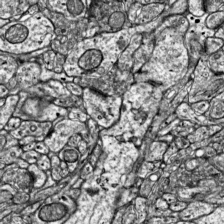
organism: Mouse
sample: Visual Cortex